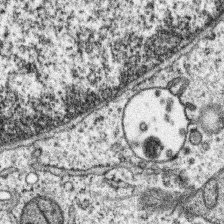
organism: Human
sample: HeLa cells